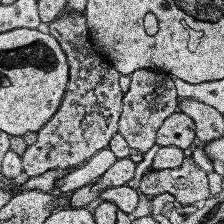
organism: Human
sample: Temporal Lobe